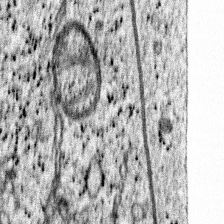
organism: Human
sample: HeLa cells